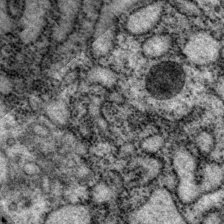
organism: P. pacificus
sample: Pharynx